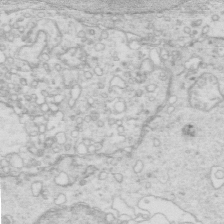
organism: Mouse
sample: Multiciliated cells